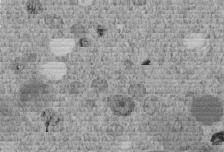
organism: C. elegans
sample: C. elegans embryo early stage